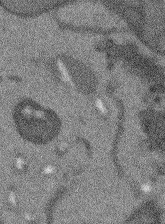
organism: Arabidopsis thaliana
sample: Root tip